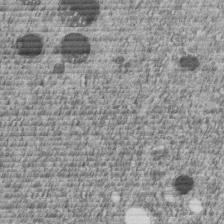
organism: C. elegans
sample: C. elegans embryo early stage